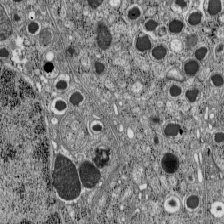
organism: C57BL Mouse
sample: Pancreatic islet